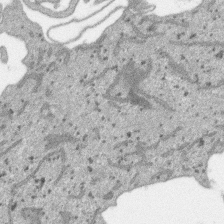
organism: Human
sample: Lung epithelial cells infected with SARS-CoV-2